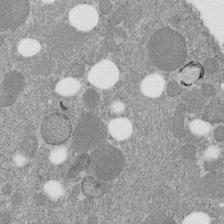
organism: C. elegans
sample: C. elegans embryo early stage